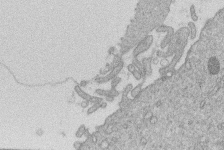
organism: Human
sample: Macrophage cells